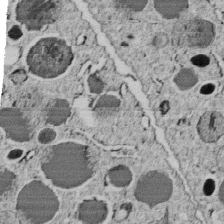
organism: C. elegans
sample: C. elegans embryo early stage